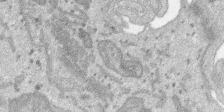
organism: Human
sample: Lung epithelial cells infected with SARS-CoV-2